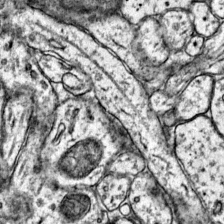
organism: Mouse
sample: Primary visual cortex